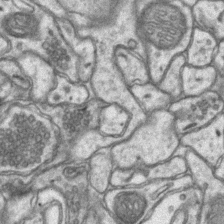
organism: Mouse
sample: CA1 Hippocampus